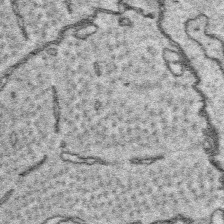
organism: Platynereis dumerilii